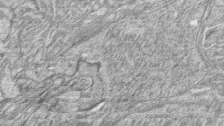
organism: Zebrafish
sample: synaptic ribbons in rod cells and cone cells